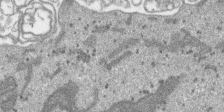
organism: Human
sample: Lung epithelial cells infected with SARS-CoV-2